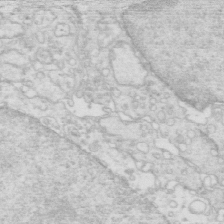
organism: Mouse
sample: Multiciliated cells